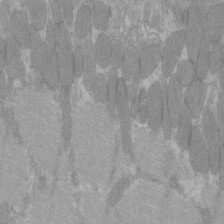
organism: C57BL Mouse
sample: Tibialis anterior muscle cell